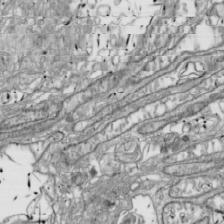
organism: Drosophila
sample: Cell division; meiosis; drosophila spermatocytes